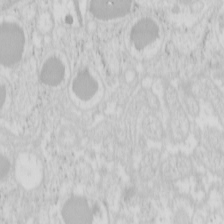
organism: Mouse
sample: Pancreas